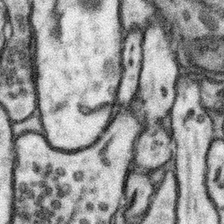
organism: Mouse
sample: Somatosensory cortex neuropil